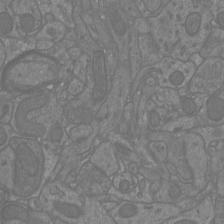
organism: Mouse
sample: Cortical neurons